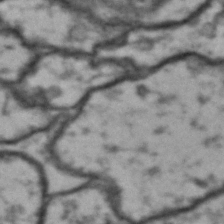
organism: Drosophila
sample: Brain